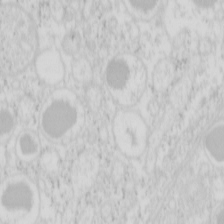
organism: Mouse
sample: Pancreas